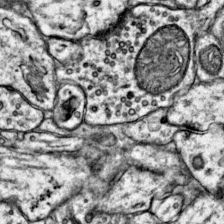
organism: Mouse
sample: Primary visual cortex